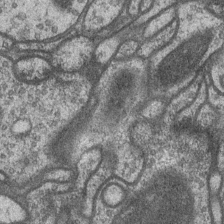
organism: Drosophila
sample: Optic medulla